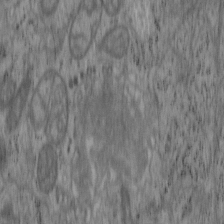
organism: Human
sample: HeLa cells